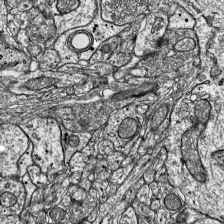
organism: Mouse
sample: Visual Cortex